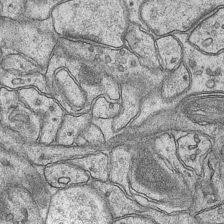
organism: Mouse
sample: CA1 Hippocampus